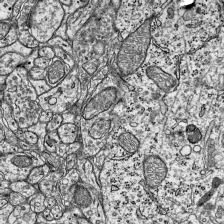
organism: Mouse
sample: Visual Cortex